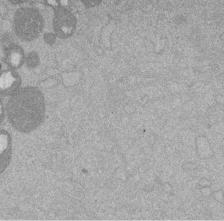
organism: Mouse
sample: Dividing mouse embryo 1 cell stage